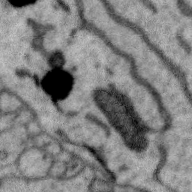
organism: Zebra finch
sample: Brain